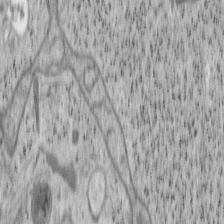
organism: Human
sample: HeLa cells